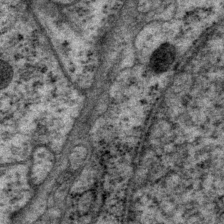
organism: P. pacificus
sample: Pharynx